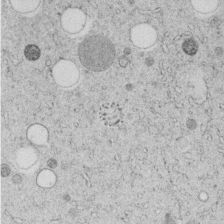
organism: C. elegans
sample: C. elegans embryo early stage